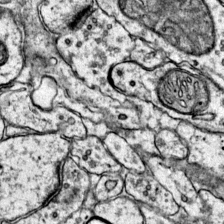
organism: Mouse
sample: Primary visual cortex